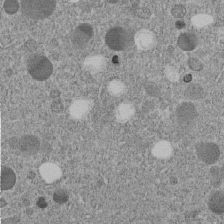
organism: C. elegans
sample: C. elegans embryo early stage